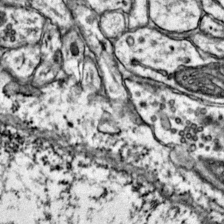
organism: Mouse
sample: Primary visual cortex